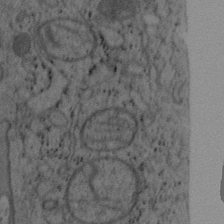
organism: Human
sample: HeLa cells